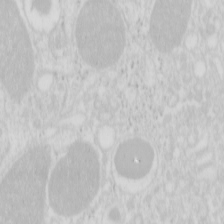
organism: Mouse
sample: Pancreas